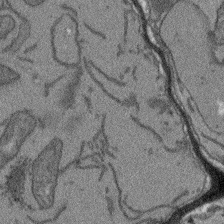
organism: Arabidopsis thaliana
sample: Root tip